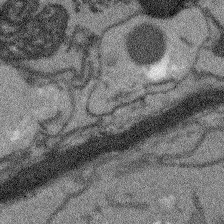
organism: Arabidopsis thaliana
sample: Root tip